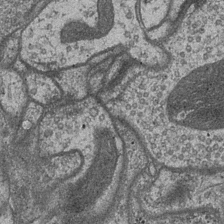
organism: Drosophila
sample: Optic medulla